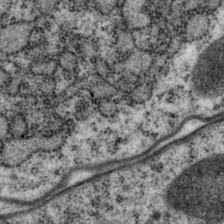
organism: P. pacificus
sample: Pharynx